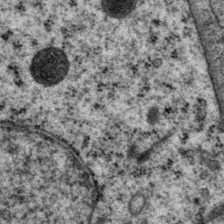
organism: P. pacificus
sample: Pharynx